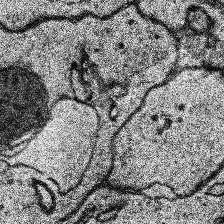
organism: Human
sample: Temporal Lobe